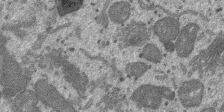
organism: Human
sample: Lung epithelial cells infected with SARS-CoV-2